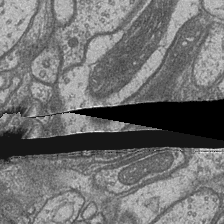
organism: Drosophila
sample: Optic medulla